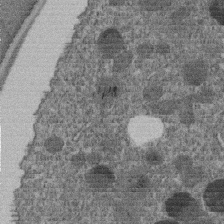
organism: C. elegans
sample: C. elegans embryo early stage